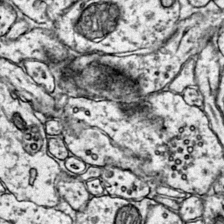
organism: Mouse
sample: Primary visual cortex